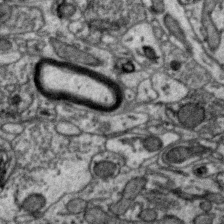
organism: Zebra finch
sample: Brain